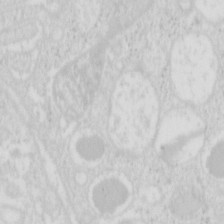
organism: Mouse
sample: Pancreas